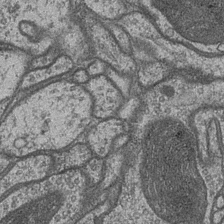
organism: Drosophila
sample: Optic medulla